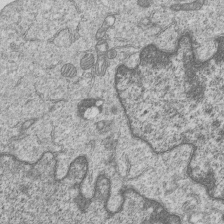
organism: Human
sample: MDA-MB-231 cells